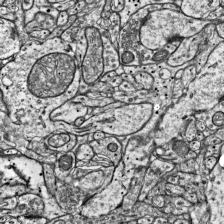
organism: Mouse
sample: Visual Cortex